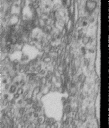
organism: Human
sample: Centriole in RPE cells